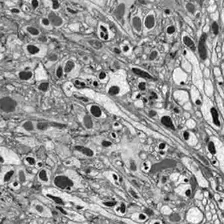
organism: Drosophila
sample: Optic lobe